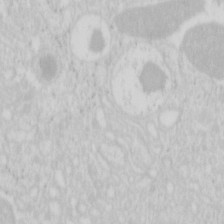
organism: Mouse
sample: Pancreas